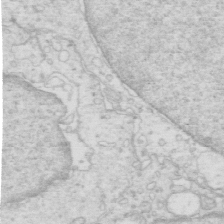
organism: Mouse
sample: Multiciliated cells